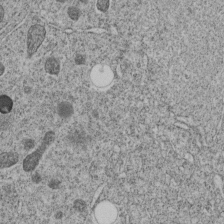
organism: C. elegans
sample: C. elegans embryo early stage